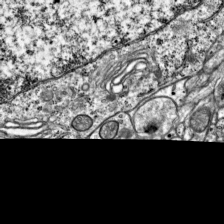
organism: Mouse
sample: Visual Cortex